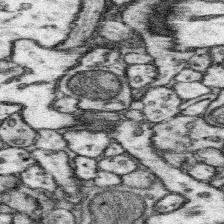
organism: Mouse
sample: Somatosensory cortex neuropil